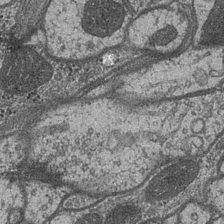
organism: Drosophila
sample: Optic medulla